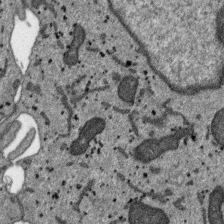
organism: Human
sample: Lung epithelial cells, uninfected (mock) control